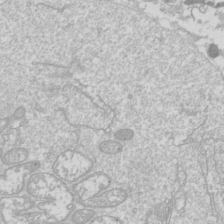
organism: Drosophila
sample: Cell division; meiosis; drosophila spermatocytes